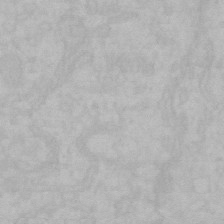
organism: Mouse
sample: Choroid plexus